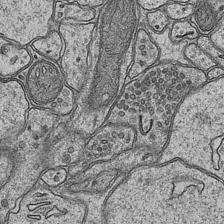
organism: Mouse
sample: CA1 Hippocampus